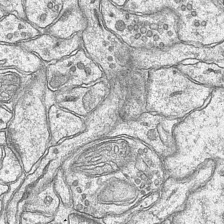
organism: Mouse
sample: CA1 Hippocampus